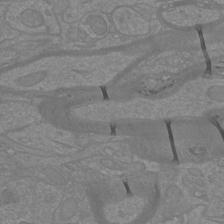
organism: Mouse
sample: Cortical neurons